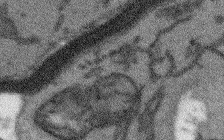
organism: Arabidopsis thaliana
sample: Root tip